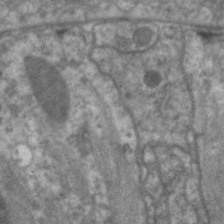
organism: C. elegans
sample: Pharynx